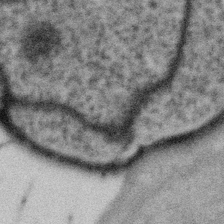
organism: Gemmata obscuriglobus